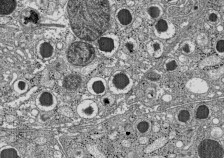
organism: C57BL Mouse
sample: Pancreatic islet